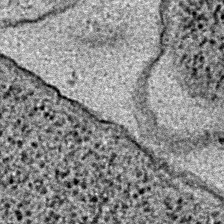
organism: E. coli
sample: E. Coli Bacteria